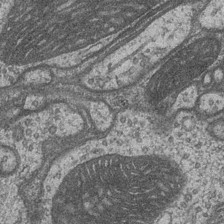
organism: Drosophila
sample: Optic medulla